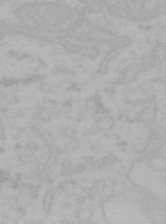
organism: Mouse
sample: Choroid plexus